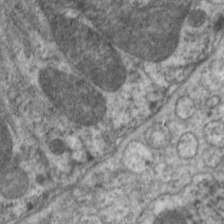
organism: C. elegans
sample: Pharynx